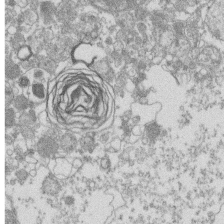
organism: Human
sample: HeLa cell HIV synapse